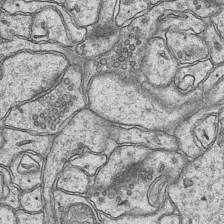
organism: Mouse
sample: CA1 Hippocampus